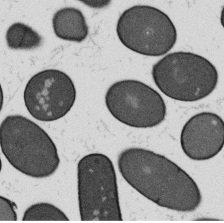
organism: B. subtilis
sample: Bacterial spore